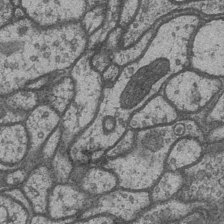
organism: Drosophila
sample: Optic medulla